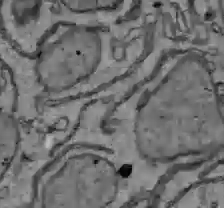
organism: C57BL Mouse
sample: Liver